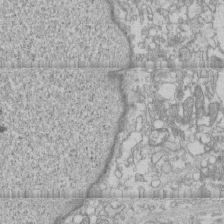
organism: Human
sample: CRL-1474